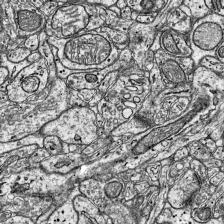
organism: Mouse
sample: Visual Cortex